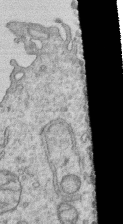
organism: Human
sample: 1205lu cells